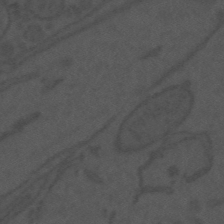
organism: Mouse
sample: Suprachiasmatic nucleus